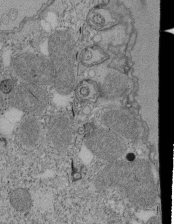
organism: Tetrahymena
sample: Cilia in tetrahymena